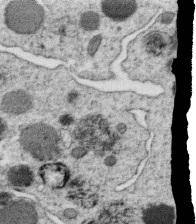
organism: C. elegans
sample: C. elegans oocyte; sperm cells